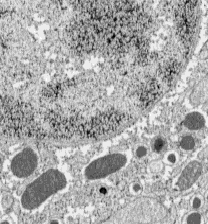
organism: C57BL Mouse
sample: Pancreatic islet